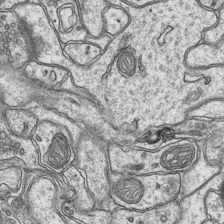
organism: Mouse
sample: CA1 Hippocampus